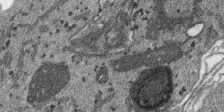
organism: Human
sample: Lung epithelial cells infected with SARS-CoV-2